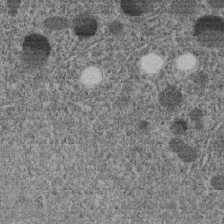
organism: C. elegans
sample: C. elegans embryo early stage